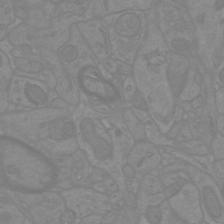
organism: Mouse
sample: Cortical neurons